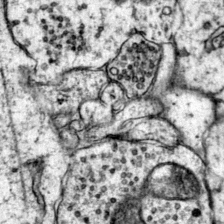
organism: Mouse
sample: Primary visual cortex